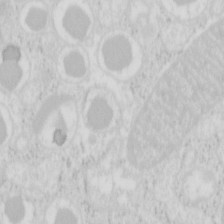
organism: Mouse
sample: Pancreas